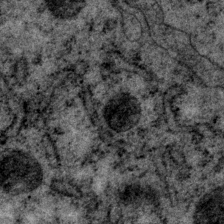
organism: P. pacificus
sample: Pharynx